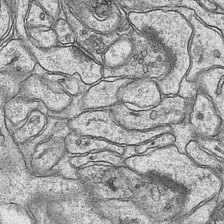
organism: Mouse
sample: CA1 Hippocampus